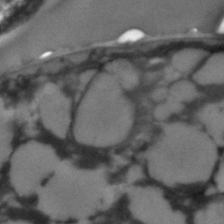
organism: C. elegans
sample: C. elegans embryo